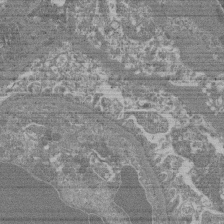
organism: Mouse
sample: Glomerulus